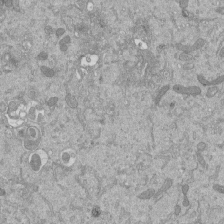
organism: Mouse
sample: ED-1 cell nuclei; centrioles